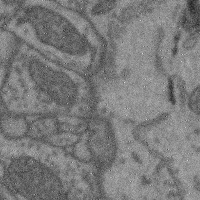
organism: Mouse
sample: Cerebral cortex